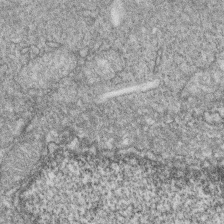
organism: Zebrafish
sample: Cilia; retinal pigment epithelium